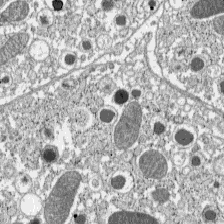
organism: C57BL Mouse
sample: Pancreatic islet